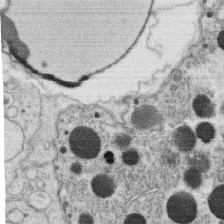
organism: C. elegans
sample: C. elegans oocyte; sperm cells